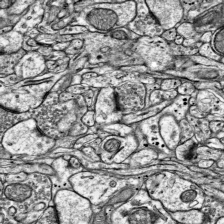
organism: Mouse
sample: Visual Cortex